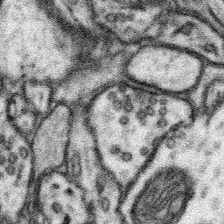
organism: Mouse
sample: Somatosensory cortex neuropil